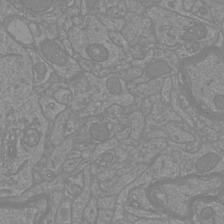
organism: Mouse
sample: Cortical neurons